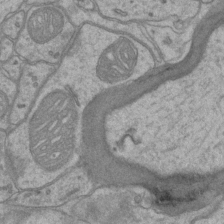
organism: Mouse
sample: CA1 Hippocampus